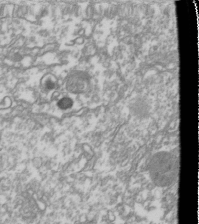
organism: Drosophila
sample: Cell division; meiosis; drosophila spermatocytes